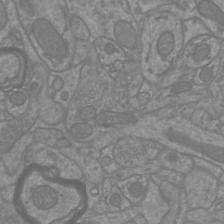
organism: Mouse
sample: Cortical neurons